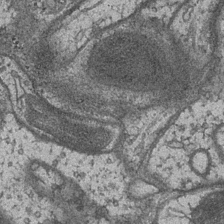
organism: Drosophila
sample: Optic medulla